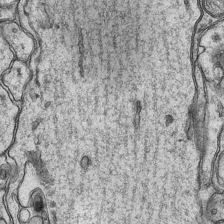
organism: Mouse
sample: CA1 Hippocampus